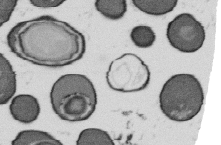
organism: B. subtilis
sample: Bacterial spore